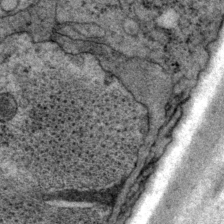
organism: P. pacificus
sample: Pharynx